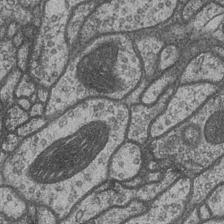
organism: Drosophila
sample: Optic medulla